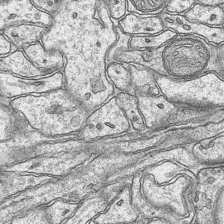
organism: Mouse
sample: CA1 Hippocampus